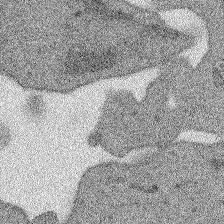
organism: Human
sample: HeLa cells